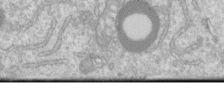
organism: Human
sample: Centriole in RPE cells